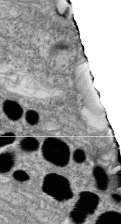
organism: Zebrafish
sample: Cilia; retinal pigment epithelium